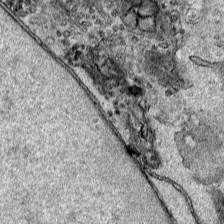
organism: Human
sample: Mitochondria in HCT116 cells